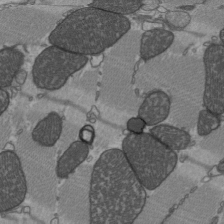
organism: C57BL Mouse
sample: Heart